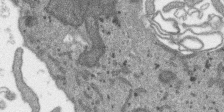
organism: Human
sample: Lung epithelial cells infected with SARS-CoV-2